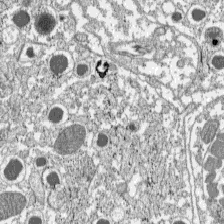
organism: C57BL Mouse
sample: Pancreatic islet